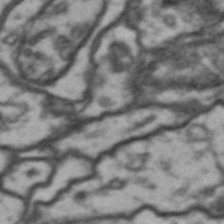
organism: Drosophila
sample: Brain